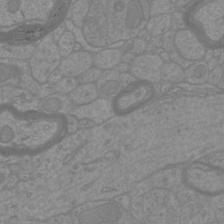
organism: Mouse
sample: Cortical neurons